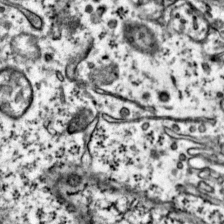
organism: Mouse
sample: Primary visual cortex